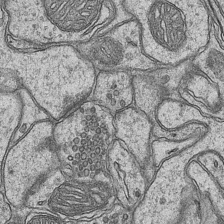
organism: Mouse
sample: CA1 Hippocampus